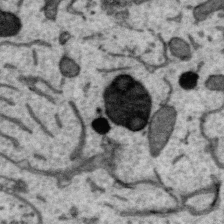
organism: Zebra finch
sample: Brain